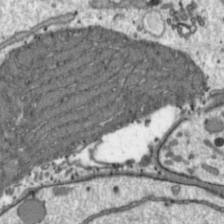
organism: Toxoplasma gondii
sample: Parasites in a vacuole inside a host cell